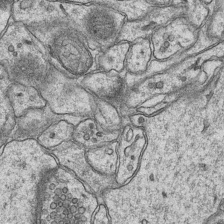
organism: Mouse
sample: CA1 Hippocampus